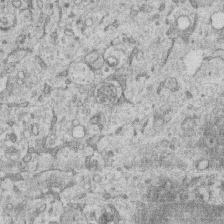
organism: Human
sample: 1205lu cells